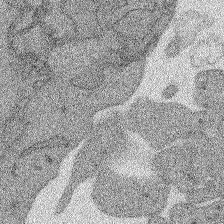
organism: Human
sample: HeLa cells